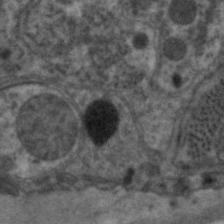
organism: C. elegans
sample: Pharynx